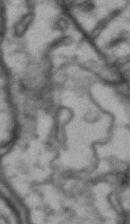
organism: Drosophila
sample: Brain